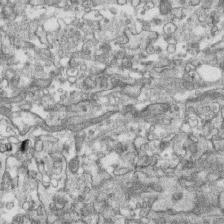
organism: Human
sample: CRL-1474